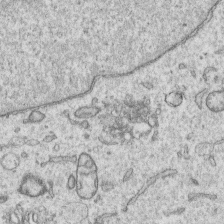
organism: Human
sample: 1205lu cells